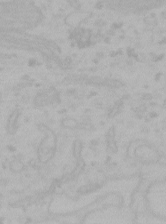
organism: Mouse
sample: Choroid plexus